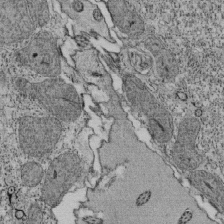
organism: Tetrahymena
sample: Cilia in tetrahymena